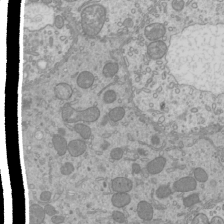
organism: Mouse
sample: Cilia; mouse epididymis